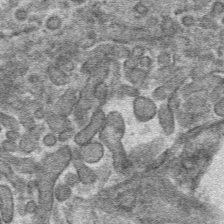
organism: Mouse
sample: Mouse hepatocytes